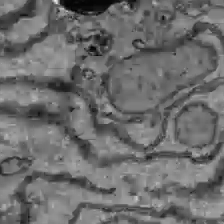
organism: C57BL Mouse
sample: Liver